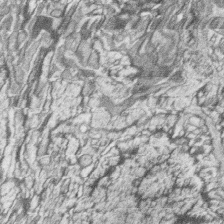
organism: Zebrafish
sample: synaptic ribbons in rod cells and cone cells